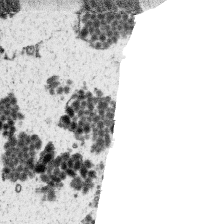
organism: Platynereis dumerilii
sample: Parapodia